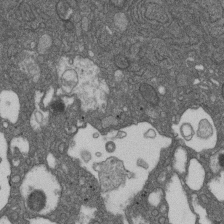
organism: Drosophila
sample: Nephrocyte